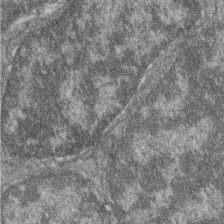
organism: Zebrafish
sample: Cilia; retinal pigment epithelium